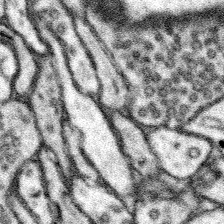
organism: Mouse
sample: Somatosensory cortex neuropil